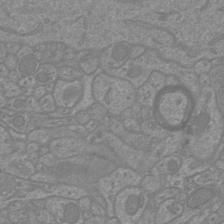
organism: Mouse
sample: Cortical neurons